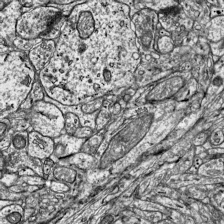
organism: Mouse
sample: Visual Cortex